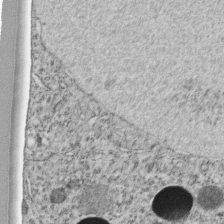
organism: C. elegans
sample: C. elegans embryo early stage